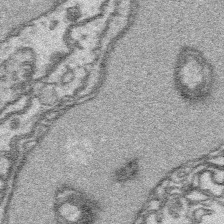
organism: Platynereis dumerilii